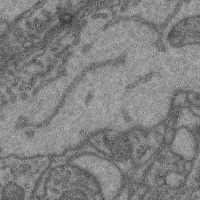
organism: Mouse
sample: Cerebral cortex